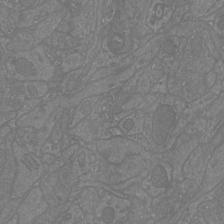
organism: Mouse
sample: Cortical neurons